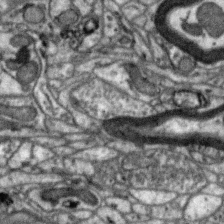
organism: Zebra finch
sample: Brain